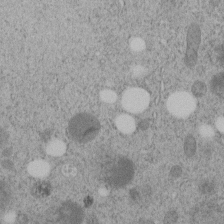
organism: C. elegans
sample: C. elegans embryo early stage